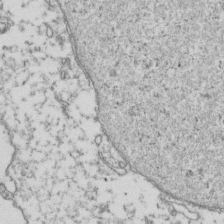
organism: Human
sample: Activated Jurkat CD4+ T cells